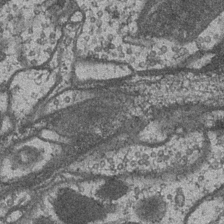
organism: Drosophila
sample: Optic medulla